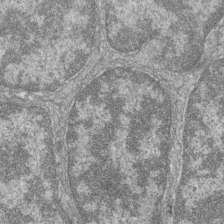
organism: Zebrafish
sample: Cilia; retinal pigment epithelium